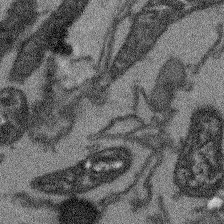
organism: Arabidopsis thaliana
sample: Root tip